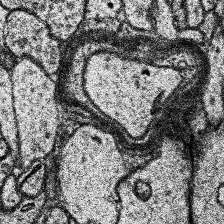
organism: Human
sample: Temporal Lobe